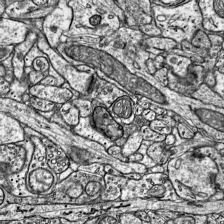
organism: Mouse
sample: Visual Cortex